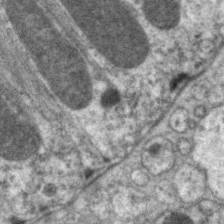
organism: C. elegans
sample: Pharynx